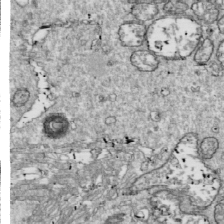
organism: Drosophila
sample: Cell division; meiosis; drosophila spermatocytes